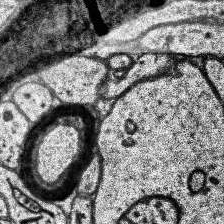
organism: Human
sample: Temporal Lobe